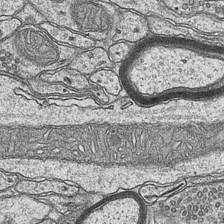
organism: Mouse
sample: CA1 Hippocampus